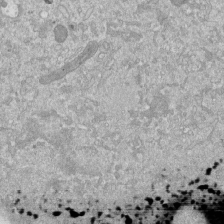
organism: Mouse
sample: ED-1 cell nuclei; centrioles